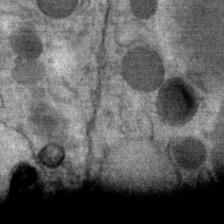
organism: Mouse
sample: Mouse Salivary gland